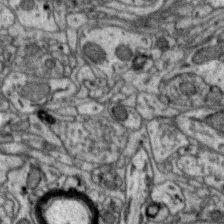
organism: Zebra finch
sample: Brain